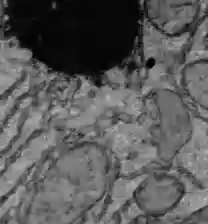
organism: C57BL Mouse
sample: Liver